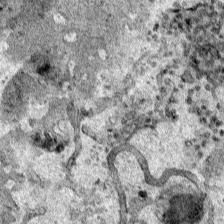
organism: Human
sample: Mitochondria in HCT116 cells